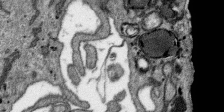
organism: Human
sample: Lung epithelial cells, uninfected (mock) control